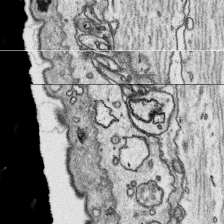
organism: Platynereis dumerilii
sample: Parapodia